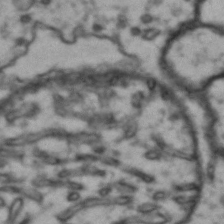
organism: Drosophila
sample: Brain